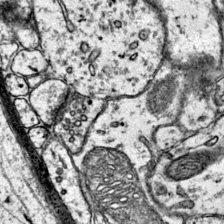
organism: Mouse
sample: Primary visual cortex